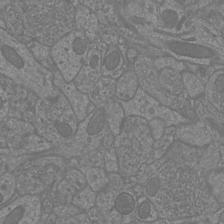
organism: Mouse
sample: Cortical neurons